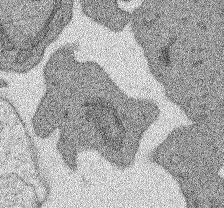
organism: Human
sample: HeLa cells